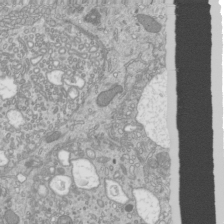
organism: Mouse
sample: Cilia; mouse epididymis